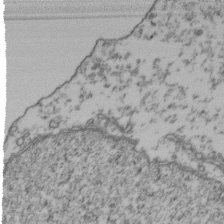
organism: Human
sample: Activated Jurkat CD4+ T cells